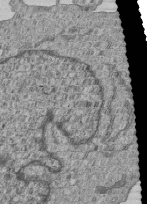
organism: Human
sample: MDA-MB-231 cells